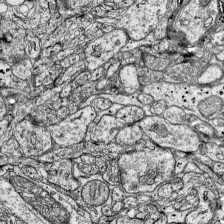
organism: Mouse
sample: Visual Cortex